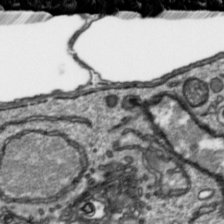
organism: Toxoplasma gondii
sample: Parasites in a vacuole inside a host cell